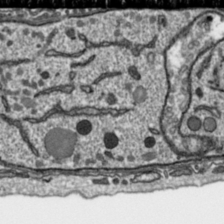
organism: Toxoplasma gondii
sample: Parasites in a vacuole inside a host cell